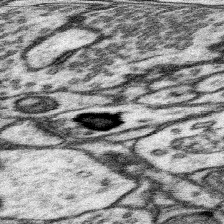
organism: Mouse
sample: Somatosensory cortex neuropil